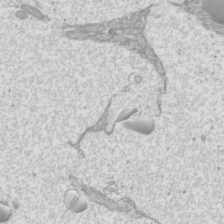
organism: Mouse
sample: Cilia; mouse epididymis